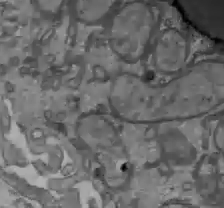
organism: C57BL Mouse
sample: Liver